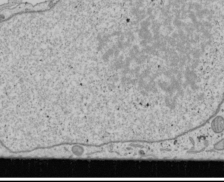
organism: Human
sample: Mitochondria in U2OS cells